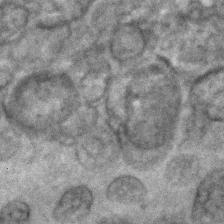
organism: C. elegans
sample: C. elegans embryo